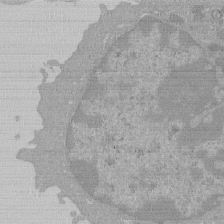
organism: Mouse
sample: Activated Pmel transgenic CD8+ T Cells